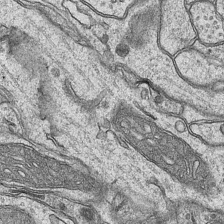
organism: Mouse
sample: CA1 Hippocampus